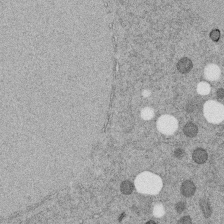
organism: C. elegans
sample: C. elegans embryo early stage